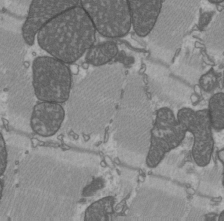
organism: C57BL Mouse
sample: Heart